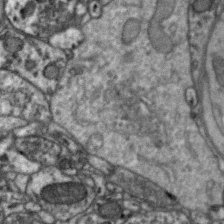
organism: Zebra finch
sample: Brain